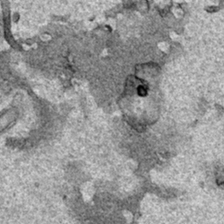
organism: Human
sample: Mitochondria in HCT116 cells